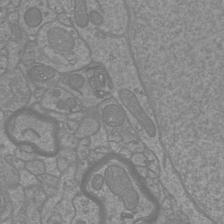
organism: Mouse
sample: Cortical neurons